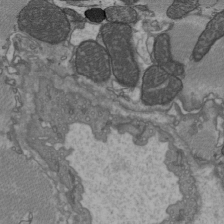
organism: C57BL Mouse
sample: Heart